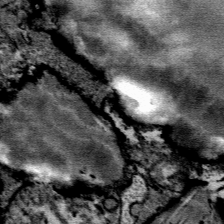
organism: Mouse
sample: Mouse Salivary gland